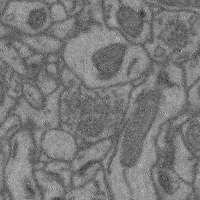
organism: Mouse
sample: Cerebral cortex